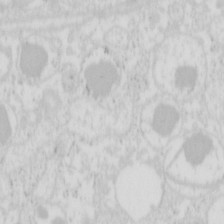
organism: Mouse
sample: Pancreas